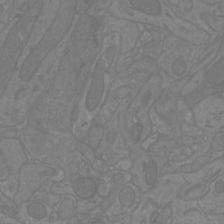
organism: Mouse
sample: Cortical neurons